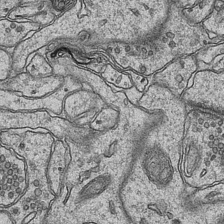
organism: Mouse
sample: CA1 Hippocampus